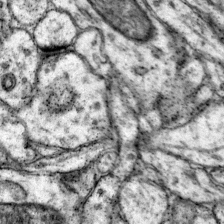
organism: Mouse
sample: Primary visual cortex